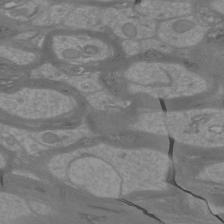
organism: Mouse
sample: Cortical neurons